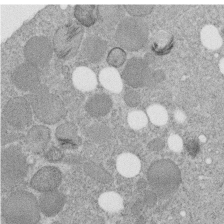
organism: C. elegans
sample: C. elegans embryo early stage